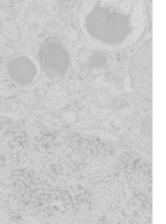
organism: Mouse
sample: Pancreas